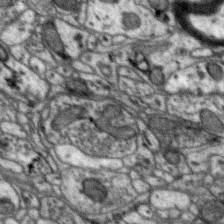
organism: Zebra finch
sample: Brain